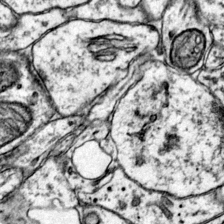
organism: Mouse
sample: Primary visual cortex